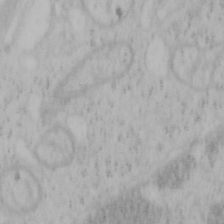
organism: Mouse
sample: OT-I killer T cells with ID8 ovarian cancer cells